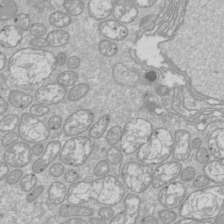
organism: Drosophila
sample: Cell division; meiosis; drosophila spermatocytes